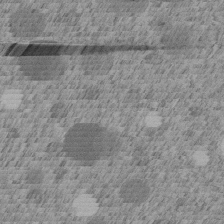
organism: C. elegans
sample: C. elegans embryo early stage